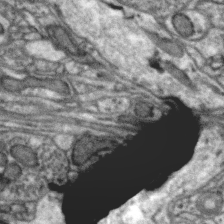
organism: Zebra finch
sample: Brain